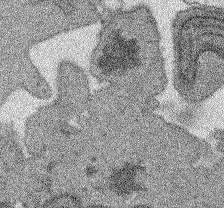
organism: Human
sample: HeLa cells